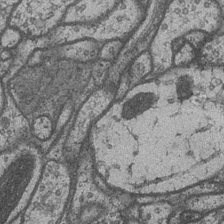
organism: Drosophila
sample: Optic medulla